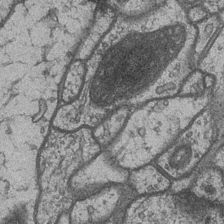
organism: Drosophila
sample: Optic medulla